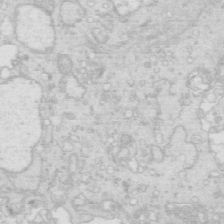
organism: Mouse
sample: Multiciliated cells